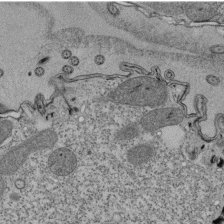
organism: Tetrahymena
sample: Cilia in tetrahymena